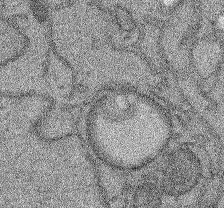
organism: Human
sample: HeLa cells